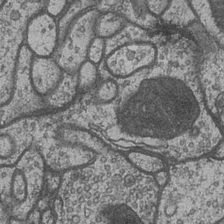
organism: Drosophila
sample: Optic medulla